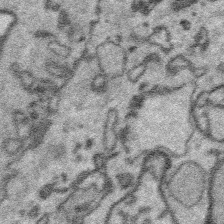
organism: Platynereis dumerilii